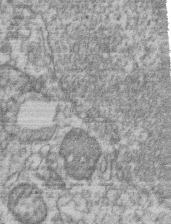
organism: Mouse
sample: T cell stromal cell synapse